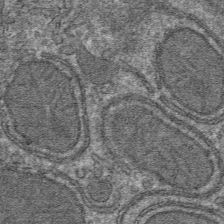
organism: Mouse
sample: Mouse hepatocytes